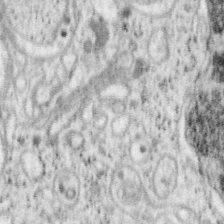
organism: Mouse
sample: OT-I killer T cells with ID8 ovarian cancer cells